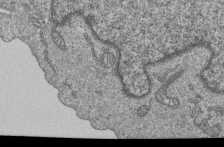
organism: Human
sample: MDA-MB-231 cells